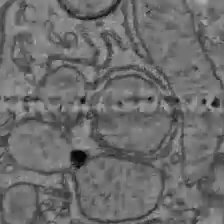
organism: C57BL Mouse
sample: Liver